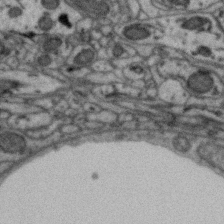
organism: Zebra finch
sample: Brain